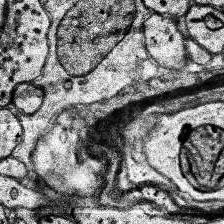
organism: Human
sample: Temporal Lobe